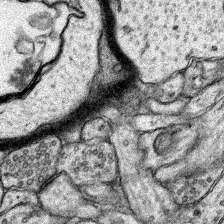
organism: Rat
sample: Hippocampus